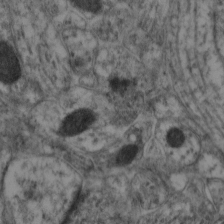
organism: Mouse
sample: Neocortex